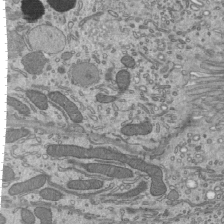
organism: Mouse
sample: Mouse epididymis efferent ductule cilia